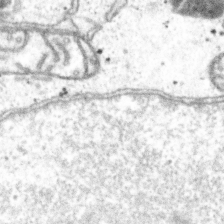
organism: Human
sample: HeLa cells